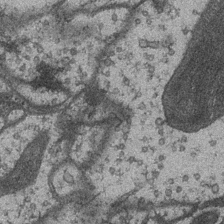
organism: Drosophila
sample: Optic medulla